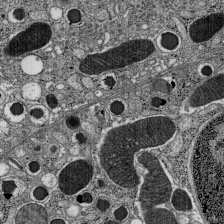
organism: C57BL Mouse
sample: Pancreatic islet